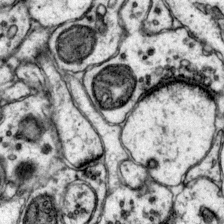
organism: Mouse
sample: Primary visual cortex